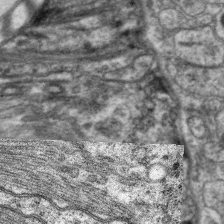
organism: C. elegans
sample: Pharynx